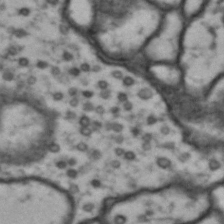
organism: Drosophila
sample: Brain